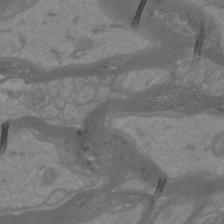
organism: Mouse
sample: Cortical neurons